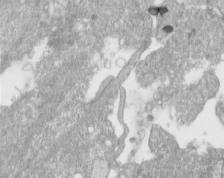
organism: Human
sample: Centriole in RPE cells